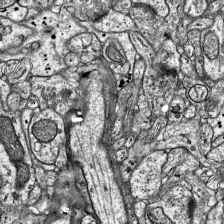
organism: Mouse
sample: Visual Cortex